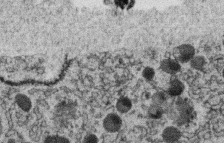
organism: C. elegans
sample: C. elegans oocyte; sperm cells